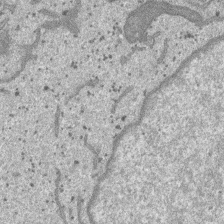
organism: Human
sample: Lung epithelial cells infected with SARS-CoV-2